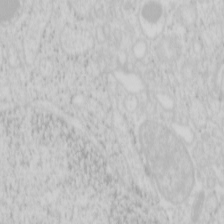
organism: Mouse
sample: Pancreas